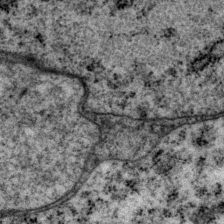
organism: P. pacificus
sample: Pharynx